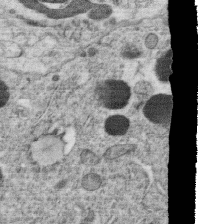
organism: C. elegans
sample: C. elegans oocyte; sperm cells